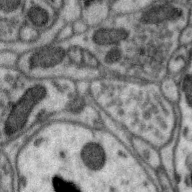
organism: Zebra finch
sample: Brain